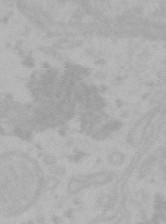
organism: Mouse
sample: Choroid plexus